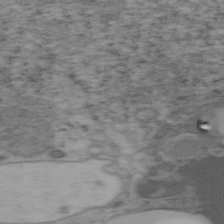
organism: Mouse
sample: OT-I killer T cells with ID8 ovarian cancer cells